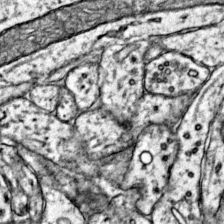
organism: Mouse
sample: Primary visual cortex